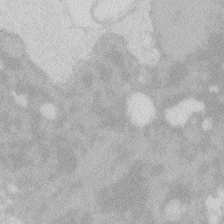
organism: Zebrafish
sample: Macrophage